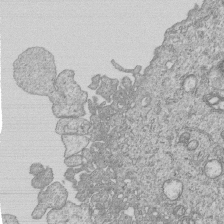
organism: Human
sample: MDA-MB-231 cells